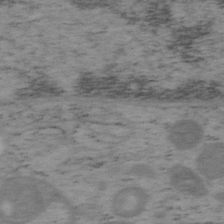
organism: Mouse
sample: OT-I killer T cells with ID8 ovarian cancer cells